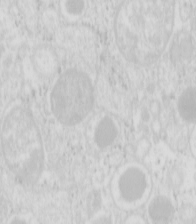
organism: Mouse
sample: Pancreas